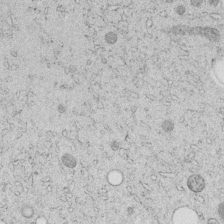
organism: C. elegans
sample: C. elegans embryo early stage